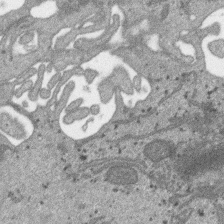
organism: Human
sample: Lung epithelial cells infected with SARS-CoV-2